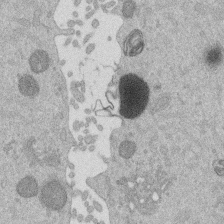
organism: Mouse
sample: Dividing mouse embryo 1 cell stage